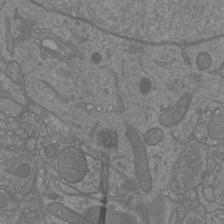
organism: Mouse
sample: Cortical neurons